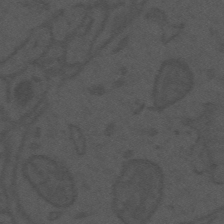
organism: Mouse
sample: Suprachiasmatic nucleus